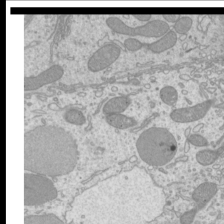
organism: Mouse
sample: Cilia; mouse epididymis